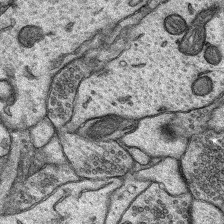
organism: Rat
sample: Hippocampus